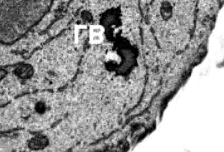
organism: Human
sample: HeLa cells